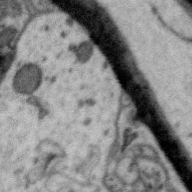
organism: Zebra finch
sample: Brain